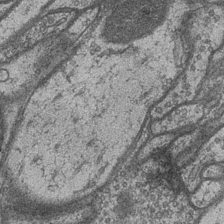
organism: Drosophila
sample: Optic medulla